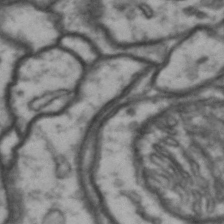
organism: Drosophila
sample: Brain